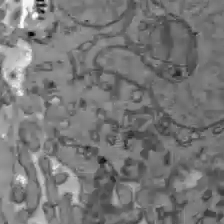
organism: C57BL Mouse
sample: Liver